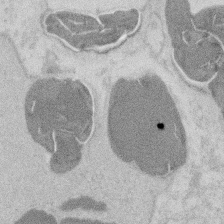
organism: Mouse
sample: T cell stromal cell synapse